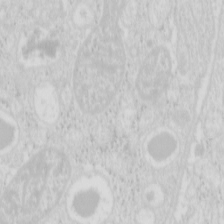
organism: Mouse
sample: Pancreas